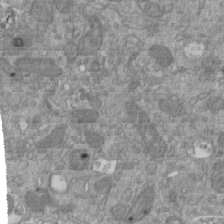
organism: Mouse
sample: ED-1 cell nuclei; centrioles